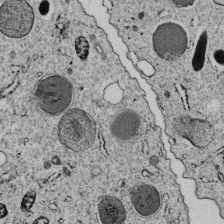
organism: C. elegans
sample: C. elegans embryo early stage